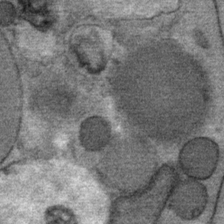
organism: Mouse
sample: Mouse Salivary gland